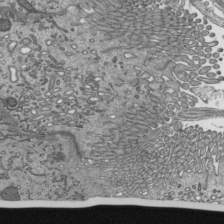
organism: Mouse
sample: Mouse epididymis efferent ductule cilia